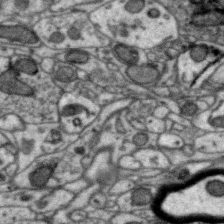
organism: Zebra finch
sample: Brain